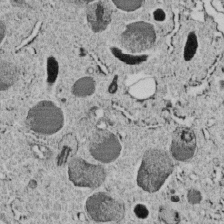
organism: C. elegans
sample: C. elegans embryo early stage